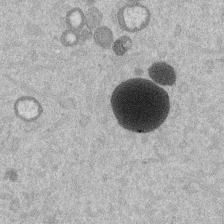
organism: Mouse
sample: Dividing mouse embryo 1 cell stage